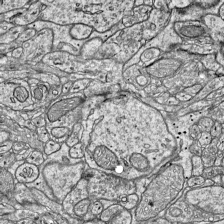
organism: Mouse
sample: Visual Cortex